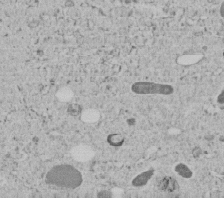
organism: C. elegans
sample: C. elegans embryo early stage